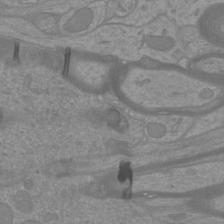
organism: Mouse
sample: Cortical neurons